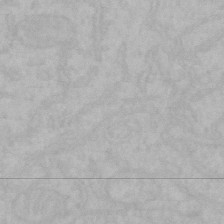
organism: Mouse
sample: Choroid plexus